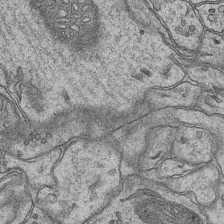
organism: Mouse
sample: CA1 Hippocampus